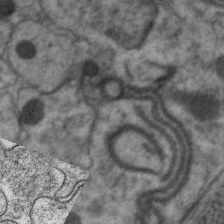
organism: C. elegans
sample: Pharynx